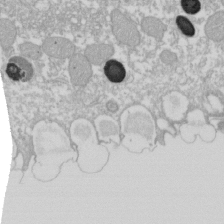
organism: Xenopus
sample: Cilia; centrioles in frog embryo cells